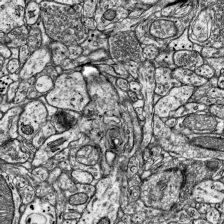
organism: Mouse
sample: Visual Cortex